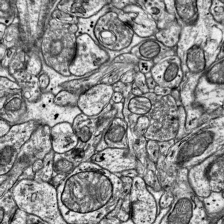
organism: Mouse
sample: Visual Cortex